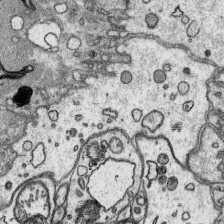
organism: Platynereis dumerilii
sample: Parapodia